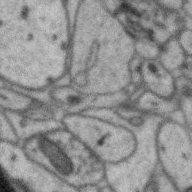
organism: Zebra finch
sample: Brain